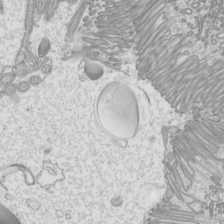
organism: Mouse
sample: Cilia; mouse epididymis